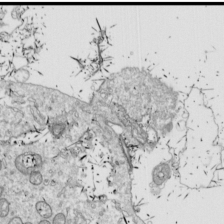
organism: Drosophila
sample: Cell division; meiosis; drosophila spermatocytes